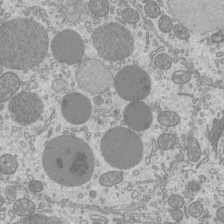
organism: Mouse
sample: Cilia; mouse epididymis